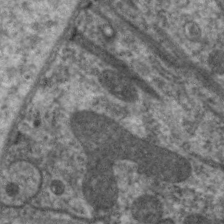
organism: C. elegans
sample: Pharynx